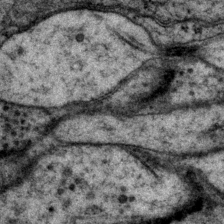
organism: P. pacificus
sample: Pharynx